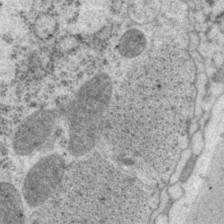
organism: P. pacificus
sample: Pharynx